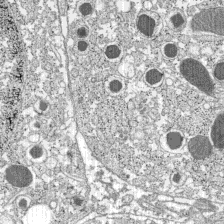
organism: C57BL Mouse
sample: Pancreatic islet